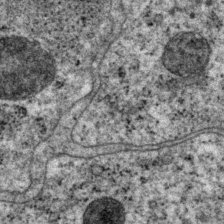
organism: P. pacificus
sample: Pharynx